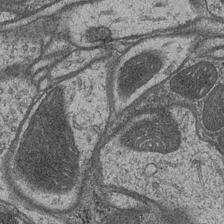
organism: Drosophila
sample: Optic medulla